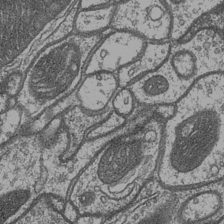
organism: Drosophila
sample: Optic medulla